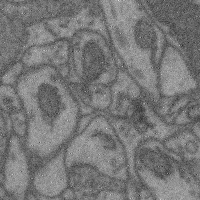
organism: Mouse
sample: Cerebral cortex